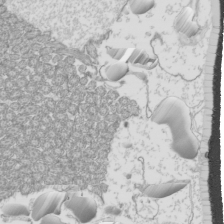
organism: Mouse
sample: Cilia; mouse epididymis